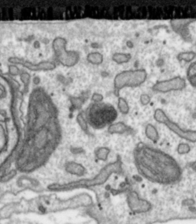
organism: Toxoplasma gondii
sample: Parasites in a vacuole inside a host cell